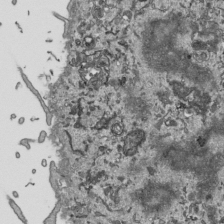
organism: Human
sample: Mitochondria in HCT116 cells